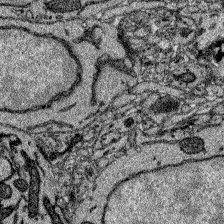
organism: Zebrafish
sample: Larval olfactory bulb